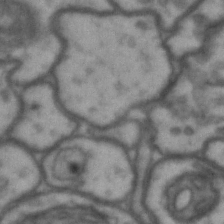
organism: Drosophila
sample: Brain